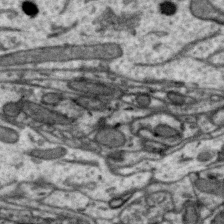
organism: Zebra finch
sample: Brain